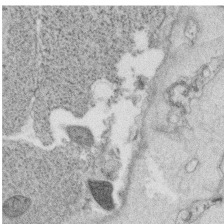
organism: C. elegans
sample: C. elegans oocyte; sperm cells